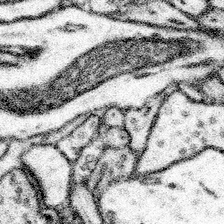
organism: Mouse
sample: Somatosensory cortex neuropil